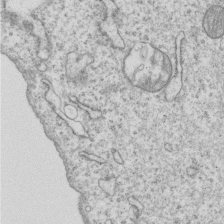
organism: Human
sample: MDA-MB-231 cells